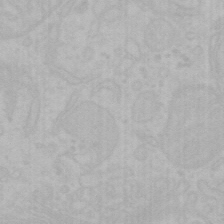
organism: Mouse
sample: Choroid plexus